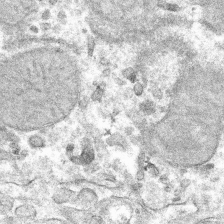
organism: Mouse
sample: Mouse hepatocytes